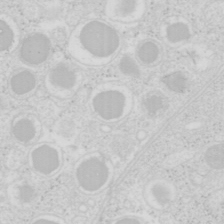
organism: Mouse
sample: Pancreas